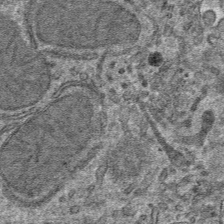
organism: Mouse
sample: Mouse hepatocytes